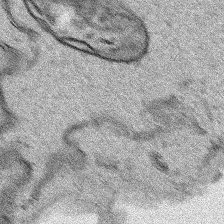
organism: Human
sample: Mitochondria in HCT116 cells